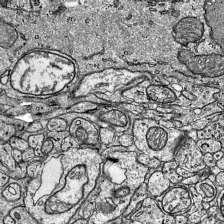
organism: Mouse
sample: Visual Cortex